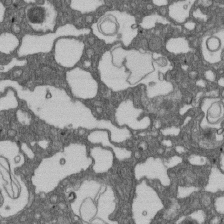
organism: Drosophila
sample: Nephrocyte